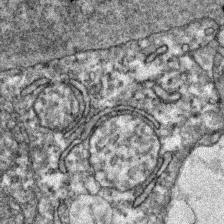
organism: Zebrafish